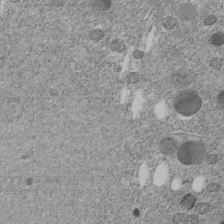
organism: C. elegans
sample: C. elegans embryo early stage